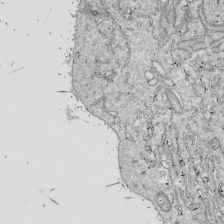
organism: Drosophila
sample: Cell division; meiosis; drosophila spermatocytes